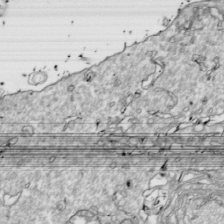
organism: Drosophila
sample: Cell division; meiosis; drosophila spermatocytes